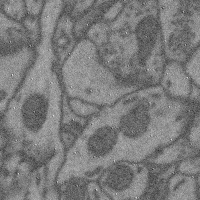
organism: Mouse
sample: Cerebral cortex